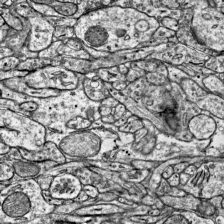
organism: Mouse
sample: Visual Cortex